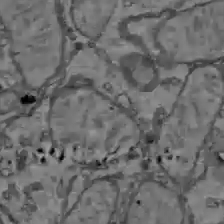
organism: C57BL Mouse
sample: Liver